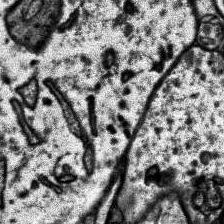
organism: Human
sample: Temporal Lobe